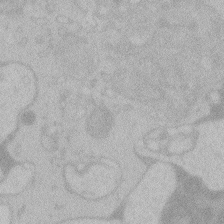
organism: Zebrafish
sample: Macrophage infected with Toxoplasma gondii